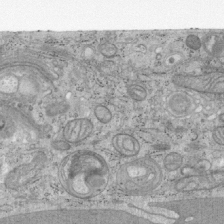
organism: Human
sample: HeLa cells